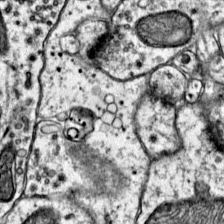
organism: Mouse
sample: Primary visual cortex